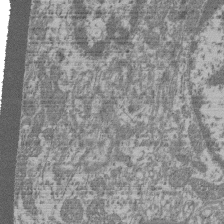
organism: Mouse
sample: Glomerulus